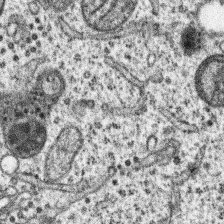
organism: Human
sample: HeLa cells